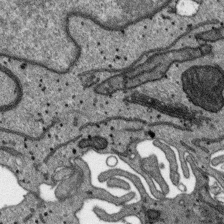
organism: Human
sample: Lung epithelial cells, uninfected (mock) control